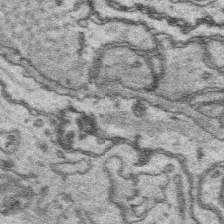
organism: Platynereis dumerilii